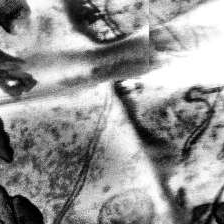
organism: Human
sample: Temporal Lobe